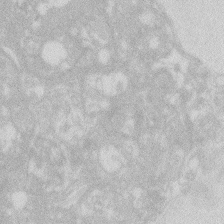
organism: Zebrafish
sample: Macrophage